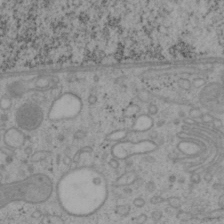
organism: Human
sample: HeLa cells